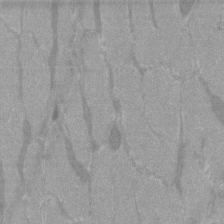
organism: C57BL Mouse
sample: Tibialis anterior muscle cell